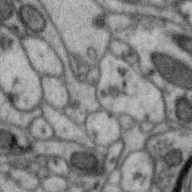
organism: Zebra finch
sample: Brain